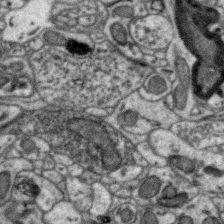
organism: Zebra finch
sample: Brain